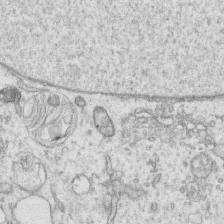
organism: Human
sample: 1205lu cells